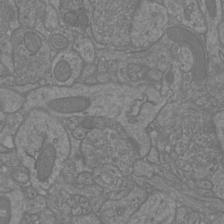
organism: Mouse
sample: Cortical neurons